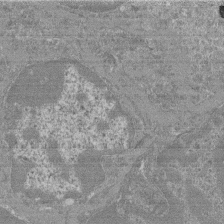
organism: Mouse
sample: Glomerulus